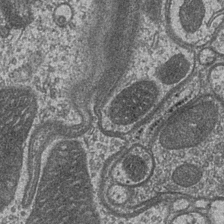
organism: Drosophila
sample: Optic medulla